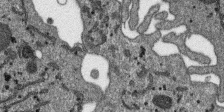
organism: Human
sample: Lung epithelial cells infected with SARS-CoV-2